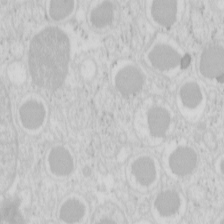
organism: Mouse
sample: Pancreas